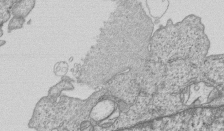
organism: Human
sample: MDA-MB-231 cells